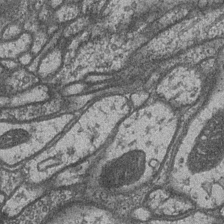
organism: Drosophila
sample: Optic medulla